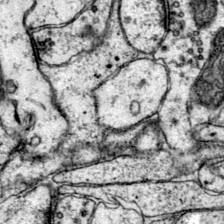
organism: Mouse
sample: Primary visual cortex